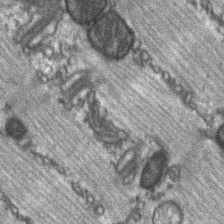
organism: C57BL Mouse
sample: Soleus